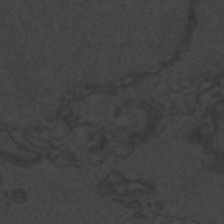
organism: Zebrafish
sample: Macrophage infected with Toxoplasma gondii